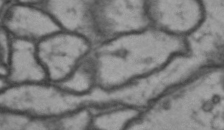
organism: Drosophila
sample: Brain